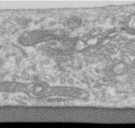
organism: Human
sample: Centriole in RPE cells